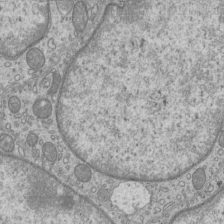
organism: Mouse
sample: Cilia; mouse epididymis